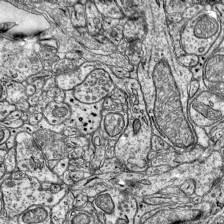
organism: Mouse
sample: Visual Cortex